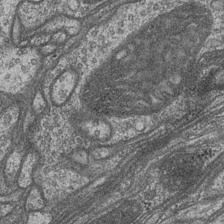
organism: Drosophila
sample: Optic medulla